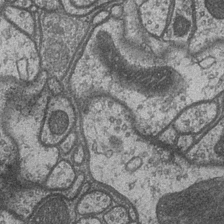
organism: Drosophila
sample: Optic medulla